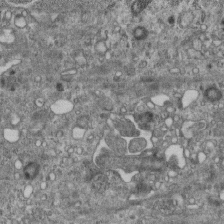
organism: Mouse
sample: Centriole in ependymal cells